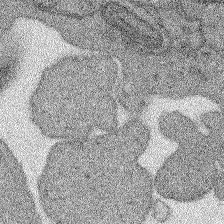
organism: Human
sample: HeLa cells